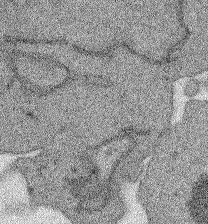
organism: Human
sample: HeLa cells